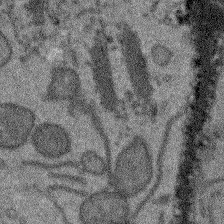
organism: Arabidopsis thaliana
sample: Root tip